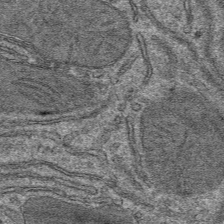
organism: Mouse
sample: Mouse hepatocytes